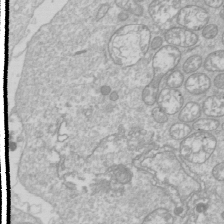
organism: Drosophila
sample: Cell division; meiosis; drosophila spermatocytes